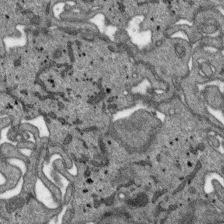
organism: Human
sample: Lung epithelial cells, uninfected (mock) control